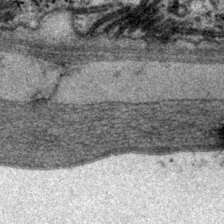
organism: P. pacificus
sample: Pharynx